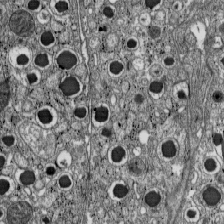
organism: C57BL Mouse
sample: Pancreatic islet